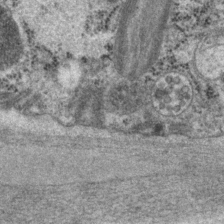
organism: P. pacificus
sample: Pharynx